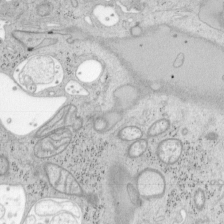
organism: Mouse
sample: OT-I killer T cells with ID8 ovarian cancer cells